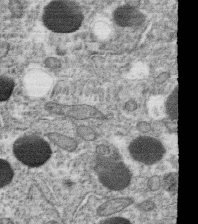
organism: C. elegans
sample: C. elegans oocyte; sperm cells